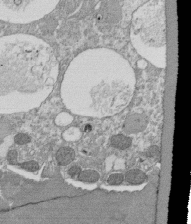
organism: Tetrahymena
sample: Cilia in tetrahymena